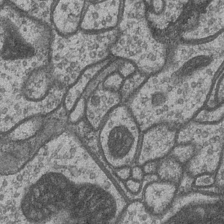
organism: Drosophila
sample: Optic medulla